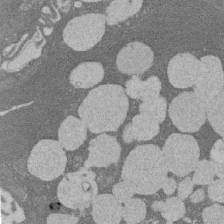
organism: Rat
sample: Salivary granule